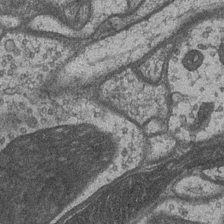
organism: Drosophila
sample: Optic medulla